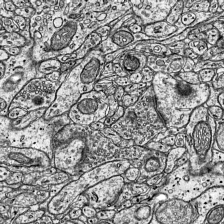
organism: Mouse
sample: Visual Cortex